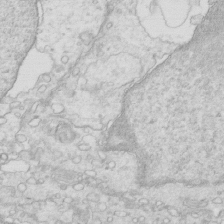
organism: Mouse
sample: Multiciliated cells